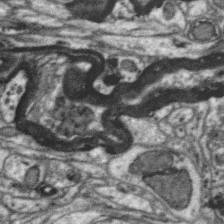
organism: Zebra finch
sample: Brain